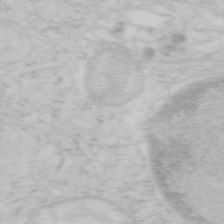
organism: Mouse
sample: OT-I killer T cells with ID8 ovarian cancer cells